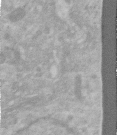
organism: Human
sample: Centriole in RPE cells